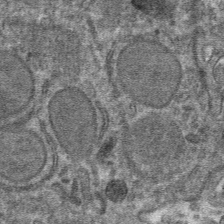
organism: Mouse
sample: Mouse hepatocytes